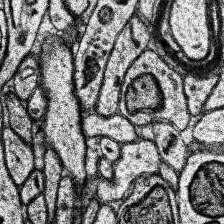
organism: Human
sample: Temporal Lobe